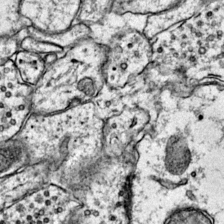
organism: Mouse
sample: Primary visual cortex